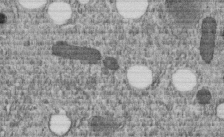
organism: C. elegans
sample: C. elegans embryo early stage